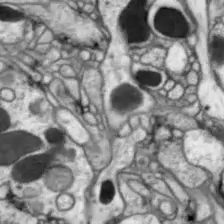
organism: Drosophila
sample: Optic lobe